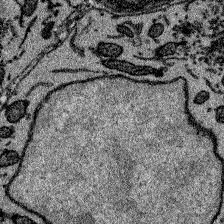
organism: Zebrafish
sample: Larval olfactory bulb